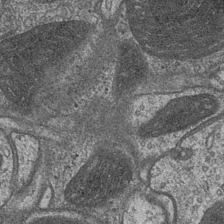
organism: Drosophila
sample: Optic medulla